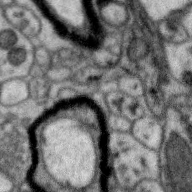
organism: Zebra finch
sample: Brain